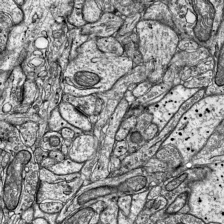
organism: Mouse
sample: Visual Cortex